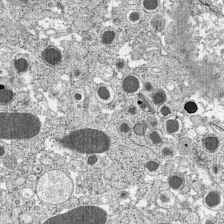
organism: C57BL Mouse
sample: Pancreatic islet